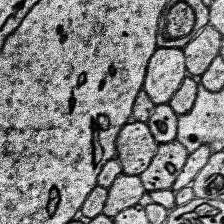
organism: Human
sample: Temporal Lobe